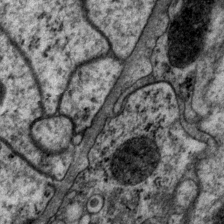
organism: P. pacificus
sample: Pharynx